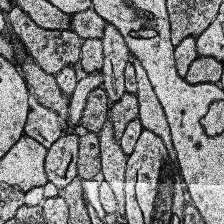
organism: Human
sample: Temporal Lobe